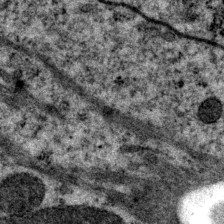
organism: P. pacificus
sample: Pharynx